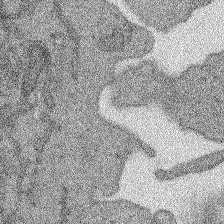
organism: Human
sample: HeLa cells